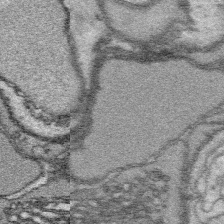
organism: Platynereis dumerilii